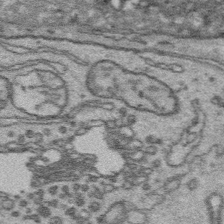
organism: Platynereis dumerilii